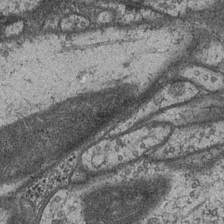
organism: Drosophila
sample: Optic medulla